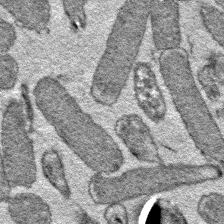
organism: E. coli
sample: E. Coli Bacteria